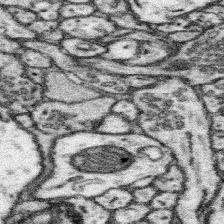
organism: Mouse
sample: Somatosensory cortex neuropil